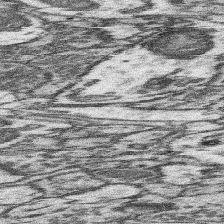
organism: Mouse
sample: Somatosensory cortex neuropil